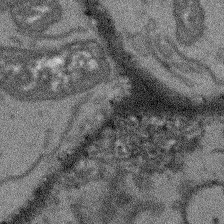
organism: Arabidopsis thaliana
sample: Root tip